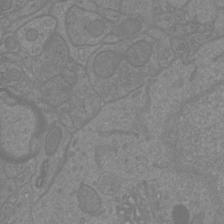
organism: Mouse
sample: Cortical neurons